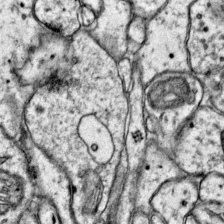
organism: Mouse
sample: Primary visual cortex